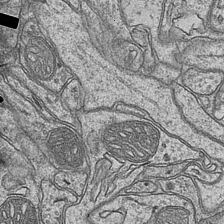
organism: Mouse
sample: CA1 Hippocampus